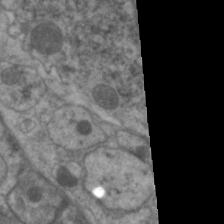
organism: C. elegans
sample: Pharynx